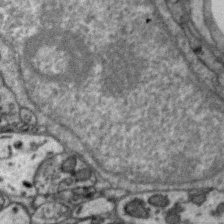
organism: Zebra finch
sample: Brain